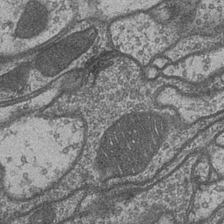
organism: Drosophila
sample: Optic medulla